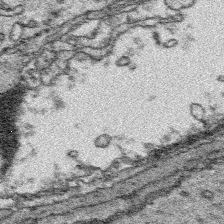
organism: Platynereis dumerilii